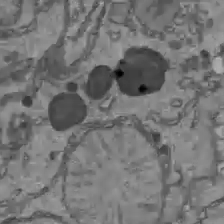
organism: C57BL Mouse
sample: Liver